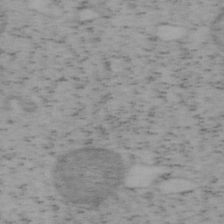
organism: Mouse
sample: OT-I killer T cells with ID8 ovarian cancer cells